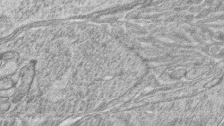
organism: Zebrafish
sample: synaptic ribbons in rod cells and cone cells